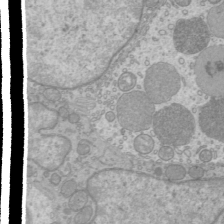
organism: Mouse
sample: Cilia; mouse epididymis